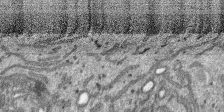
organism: Human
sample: Lung epithelial cells infected with SARS-CoV-2